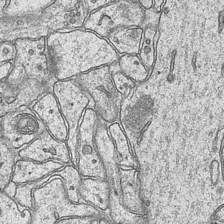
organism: Mouse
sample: CA1 Hippocampus